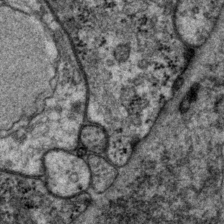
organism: P. pacificus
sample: Pharynx